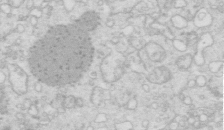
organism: Mouse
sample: Multiciliated cells